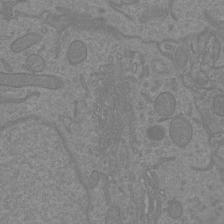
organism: Mouse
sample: Cortical neurons